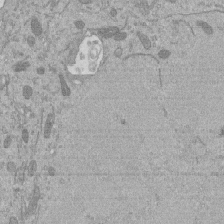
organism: Mouse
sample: ED-1 cell nuclei; centrioles